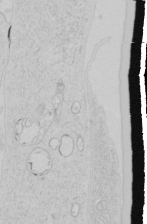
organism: Human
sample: Mitochondria in HCT116 cells